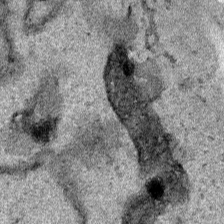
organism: Human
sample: Mitochondria in HCT116 cells